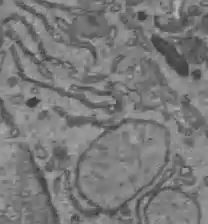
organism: C57BL Mouse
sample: Liver